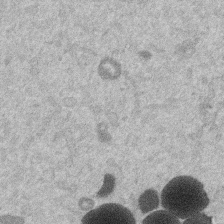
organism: Mouse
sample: Dividing mouse embryo 1 cell stage